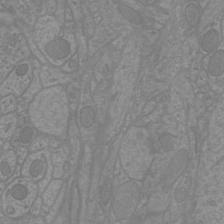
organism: Mouse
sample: Cortical neurons